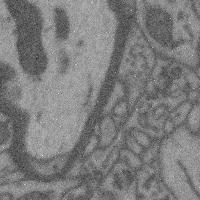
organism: Mouse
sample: Cerebral cortex